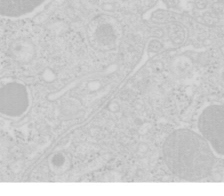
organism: Mouse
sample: Pancreas